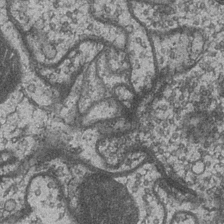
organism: Drosophila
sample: Optic medulla